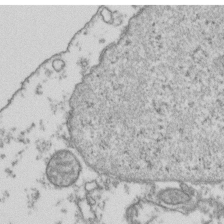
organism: Human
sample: Activated Jurkat CD4+ T cells